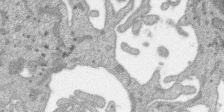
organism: Human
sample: Lung epithelial cells infected with SARS-CoV-2